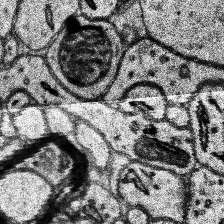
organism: Human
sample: Temporal Lobe